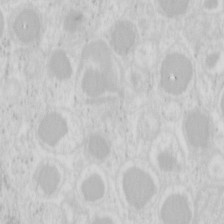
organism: Mouse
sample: Pancreas